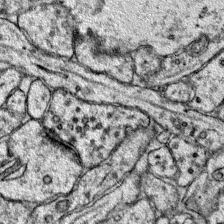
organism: Mouse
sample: Primary visual cortex